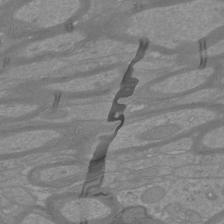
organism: Mouse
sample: Cortical neurons